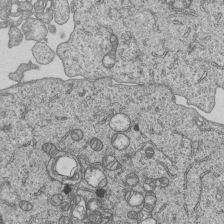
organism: Human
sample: MDA-MB-231 cells